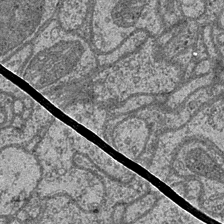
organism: Drosophila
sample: Optic medulla